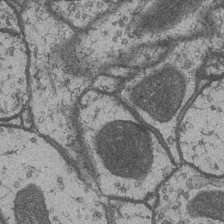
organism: Drosophila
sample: Optic medulla